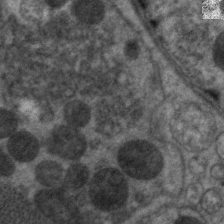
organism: C. elegans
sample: Pharynx